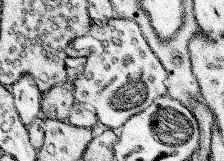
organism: Mouse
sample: Somatosensory cortex neuropil